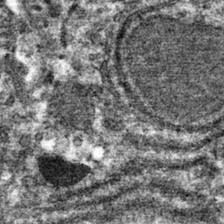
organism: Mouse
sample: Mouse hepatocytes